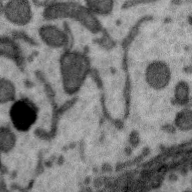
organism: Zebra finch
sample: Brain